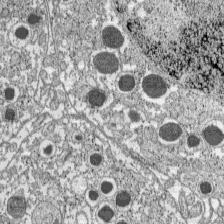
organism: C57BL Mouse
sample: Pancreatic islet